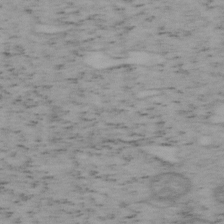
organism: Mouse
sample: OT-I killer T cells with ID8 ovarian cancer cells